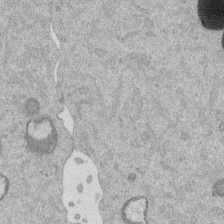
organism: Mouse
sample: Dividing mouse embryo 1 cell stage